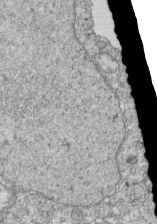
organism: Human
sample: HeLa cell HIV synapse